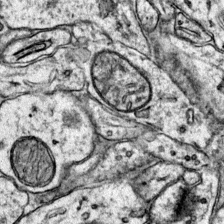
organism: Mouse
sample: Primary visual cortex